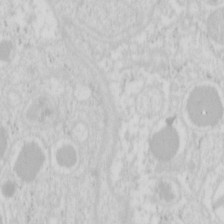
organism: Mouse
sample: Pancreas